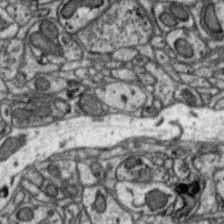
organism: Zebra finch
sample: Brain